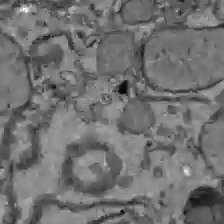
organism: C57BL Mouse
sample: Liver